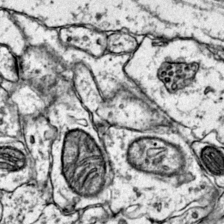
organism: Mouse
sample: Primary visual cortex